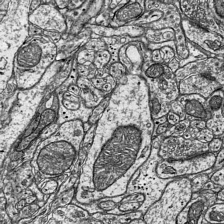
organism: Mouse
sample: Visual Cortex